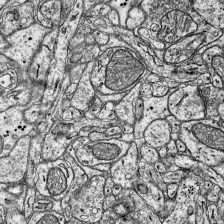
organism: Mouse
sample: Visual Cortex